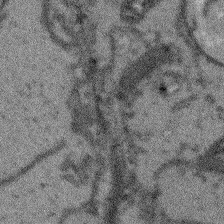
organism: Arabidopsis thaliana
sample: Root tip